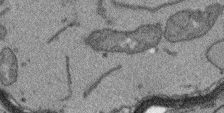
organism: Arabidopsis thaliana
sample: Root tip